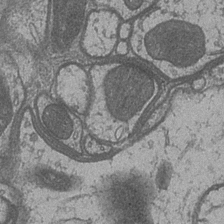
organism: Drosophila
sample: Optic medulla